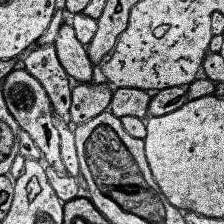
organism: Human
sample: Temporal Lobe